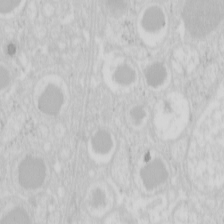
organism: Mouse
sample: Pancreas